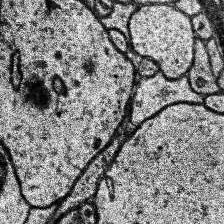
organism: Human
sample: Temporal Lobe